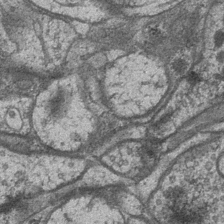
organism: Drosophila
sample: Optic medulla